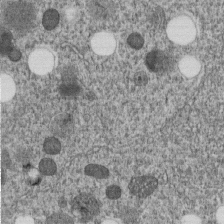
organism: C. elegans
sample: C. elegans embryo early stage